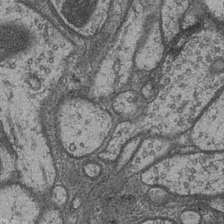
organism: Drosophila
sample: Optic medulla